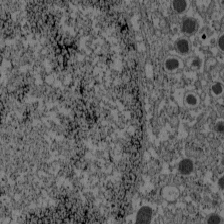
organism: C57BL Mouse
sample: Pancreatic islet